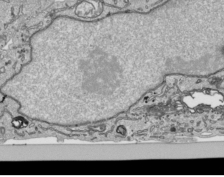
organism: Human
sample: Mitochondria in HCT116 cells